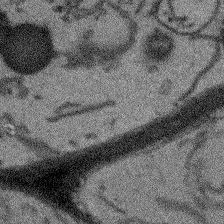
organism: Arabidopsis thaliana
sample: Root tip